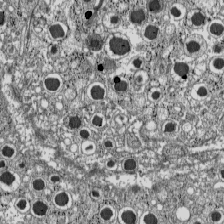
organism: C57BL Mouse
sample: Pancreatic islet